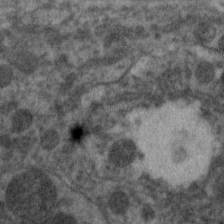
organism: C. elegans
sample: Pharynx